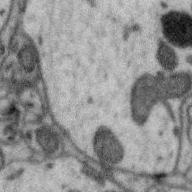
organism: Zebra finch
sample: Brain